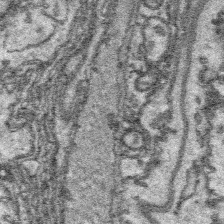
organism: Platynereis dumerilii